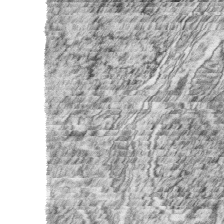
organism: Zebrafish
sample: synaptic ribbons in rod cells and cone cells